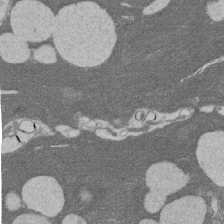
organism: Rat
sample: Salivary granule